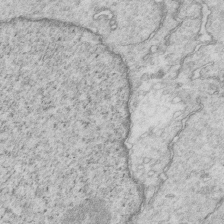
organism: Mouse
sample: Multiciliated cells